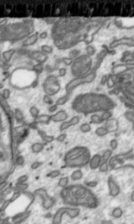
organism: Toxoplasma gondii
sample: Parasites in a vacuole inside a host cell